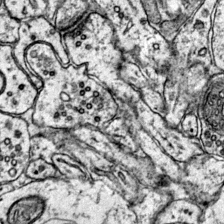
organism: Mouse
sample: Primary visual cortex